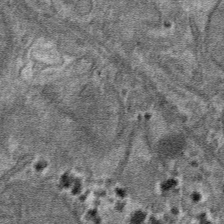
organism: Mouse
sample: Mouse hepatocytes